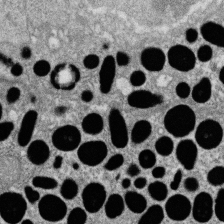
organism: Zebrafish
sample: Cilia; retinal pigment epithelium